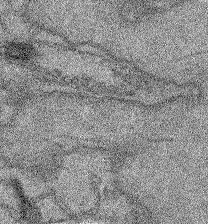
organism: Human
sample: HeLa cells